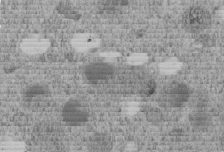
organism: C. elegans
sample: C. elegans embryo early stage